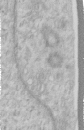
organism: Human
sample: Centriole in RPE cells